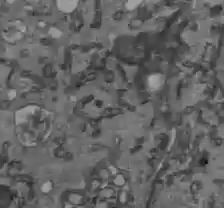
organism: C57BL Mouse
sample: Liver